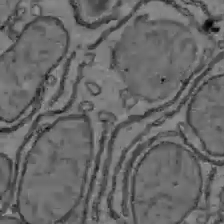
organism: C57BL Mouse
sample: Liver